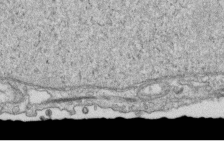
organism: Human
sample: HeLa cell HIV synapse